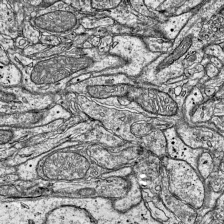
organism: Mouse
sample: Visual Cortex